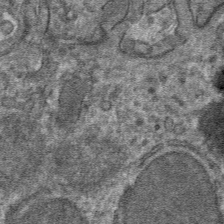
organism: Mouse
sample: Mouse hepatocytes